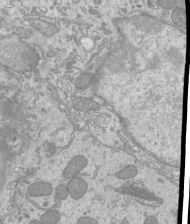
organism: Mouse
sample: Cilia; mouse epididymis